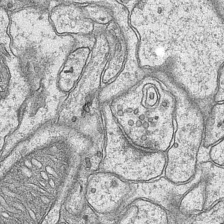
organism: Mouse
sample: CA1 Hippocampus